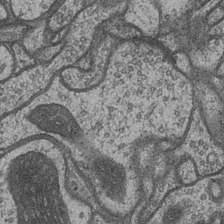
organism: Drosophila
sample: Optic medulla